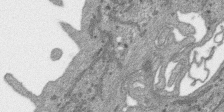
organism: Human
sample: Lung epithelial cells infected with SARS-CoV-2